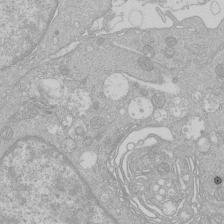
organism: Human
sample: Macrophage cells